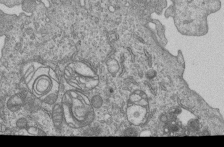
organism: Human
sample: MDA-MB-231 cells